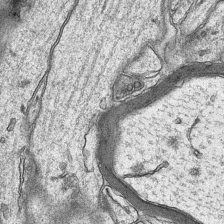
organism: Mouse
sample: CA1 Hippocampus